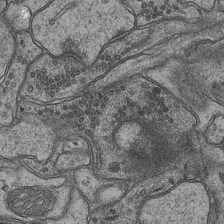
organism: Mouse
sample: CA1 Hippocampus